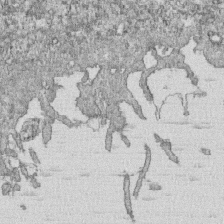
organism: Human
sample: HeLa cell HIV synapse